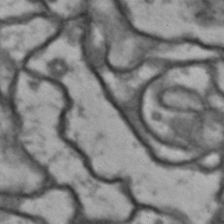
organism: Drosophila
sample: Brain